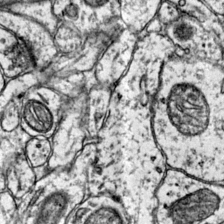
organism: Mouse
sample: Primary visual cortex